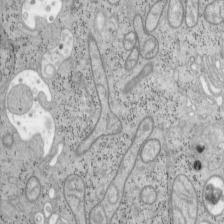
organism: Mouse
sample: OT-I killer T cells with ID8 ovarian cancer cells